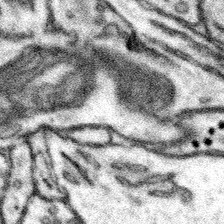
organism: Mouse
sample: Somatosensory cortex neuropil